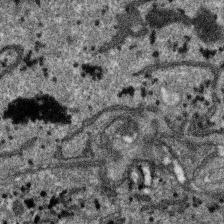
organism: Human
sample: Lung epithelial cells infected with SARS-CoV-2